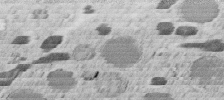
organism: C. elegans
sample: C. elegans embryo early stage